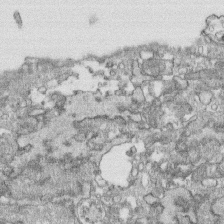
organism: Human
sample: CRL-1474